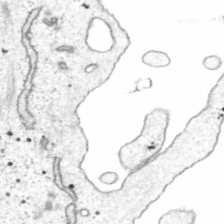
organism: Human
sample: HeLa cells